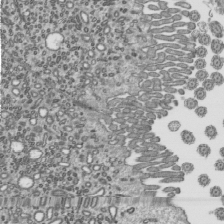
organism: Mouse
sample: Mouse epididymis efferent ductule cilia